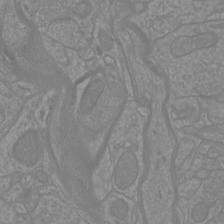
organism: Mouse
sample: Cortical neurons